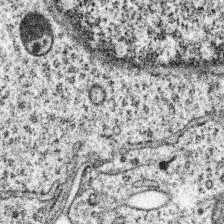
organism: Human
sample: HeLa cells